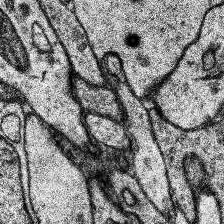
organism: Human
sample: Temporal Lobe